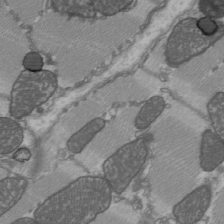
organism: C57BL Mouse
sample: Heart